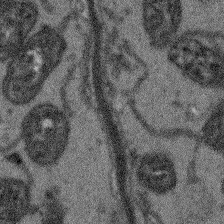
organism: Arabidopsis thaliana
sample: Root tip